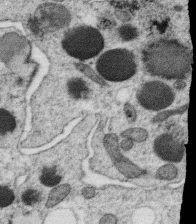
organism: C. elegans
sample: C. elegans oocyte; sperm cells